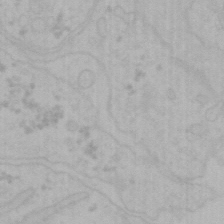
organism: Mouse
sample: Choroid plexus